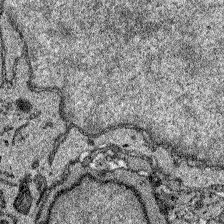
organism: Zebrafish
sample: Larval olfactory bulb